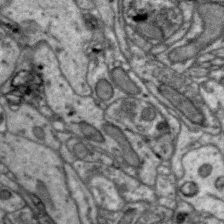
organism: Zebra finch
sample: Brain